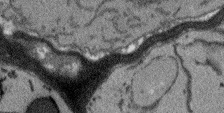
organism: Arabidopsis thaliana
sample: Root tip